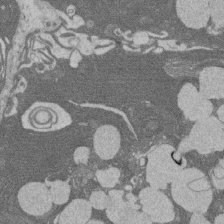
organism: Rat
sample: Salivary granule